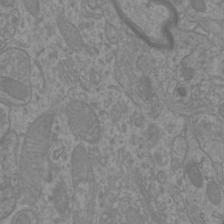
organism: Mouse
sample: Cortical neurons